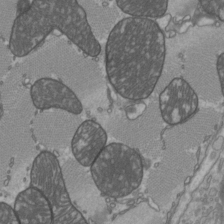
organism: C57BL Mouse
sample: Heart